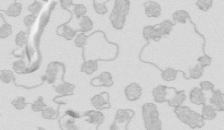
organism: Mouse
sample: Multiciliated cells